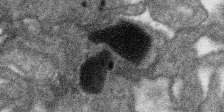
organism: Human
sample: Lung epithelial cells infected with SARS-CoV-2